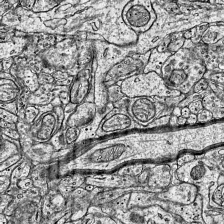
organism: Mouse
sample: Visual Cortex